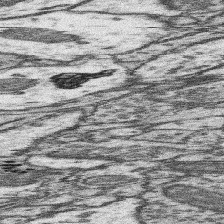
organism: Mouse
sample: Somatosensory cortex neuropil